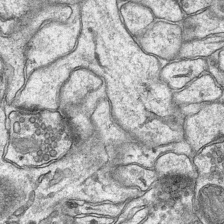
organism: Mouse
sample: CA1 Hippocampus